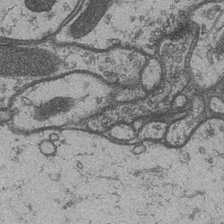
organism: Drosophila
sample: Optic medulla